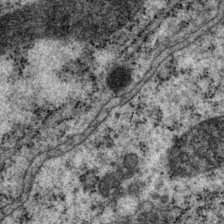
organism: P. pacificus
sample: Pharynx